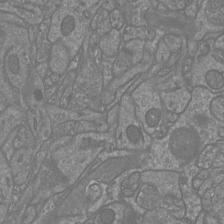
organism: Mouse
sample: Cortical neurons